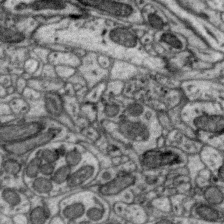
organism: Zebra finch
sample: Brain